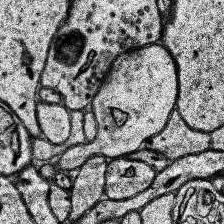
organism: Human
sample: Temporal Lobe